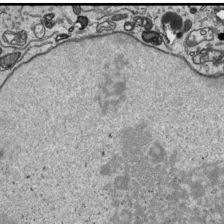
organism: Human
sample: Mitochondria in HCT116 cells